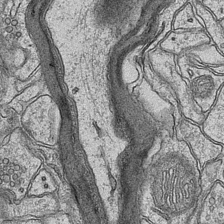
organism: Mouse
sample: CA1 Hippocampus